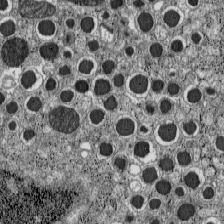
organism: C57BL Mouse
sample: Pancreatic islet